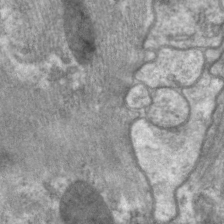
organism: C. elegans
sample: Pharynx